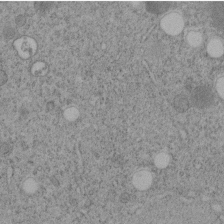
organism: C. elegans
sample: C. elegans embryo early stage